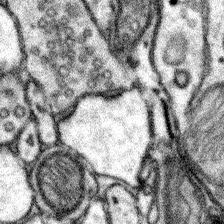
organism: Mouse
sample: Somatosensory cortex neuropil